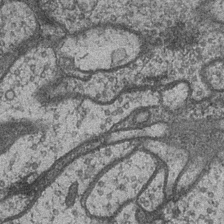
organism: Drosophila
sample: Optic medulla